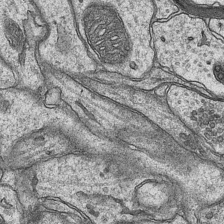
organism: Mouse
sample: CA1 Hippocampus